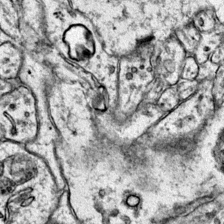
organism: Mouse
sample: Primary visual cortex